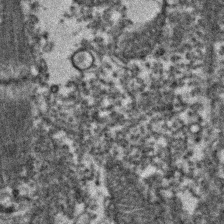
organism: Zebrafish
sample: Zebrafish embryo